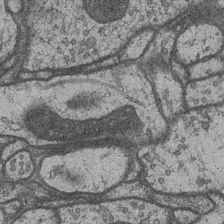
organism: Drosophila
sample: Optic medulla